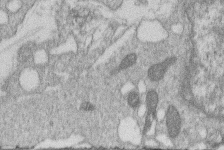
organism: Human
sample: Macrophage cells